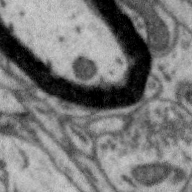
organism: Zebra finch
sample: Brain